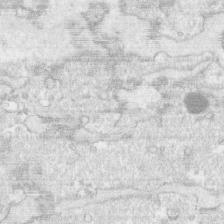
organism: Human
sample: CRL-1474